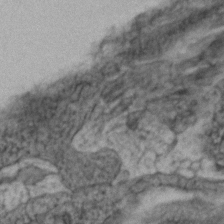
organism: Zebrafish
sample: Zebrafish embryo